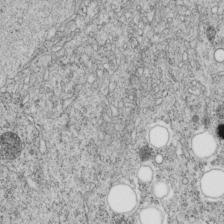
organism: C. elegans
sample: C. elegans embryo early stage